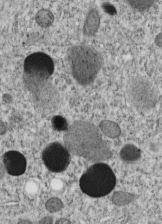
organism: C. elegans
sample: C. elegans embryo early stage